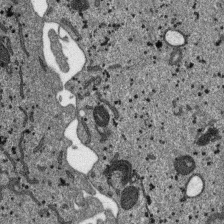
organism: Human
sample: Lung epithelial cells infected with SARS-CoV-2